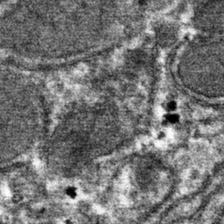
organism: Mouse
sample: Mouse hepatocytes